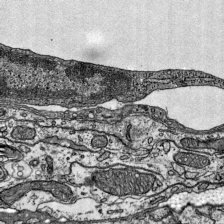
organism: Mouse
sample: Visual Cortex